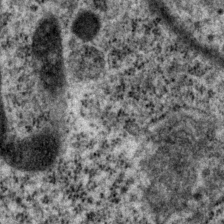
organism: P. pacificus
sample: Pharynx